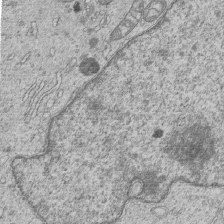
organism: Human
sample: MDA-MB-231 cells